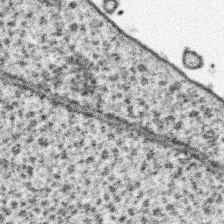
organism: Human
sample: HeLa cells